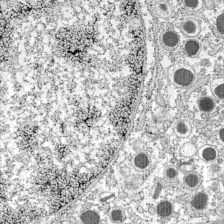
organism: C57BL Mouse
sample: Pancreatic islet